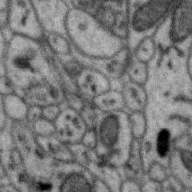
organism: Zebra finch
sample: Brain